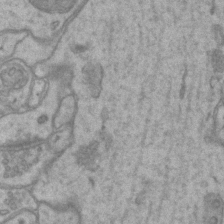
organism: Mouse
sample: CA1 Hippocampus